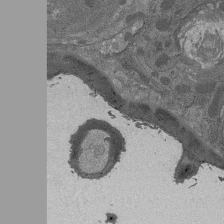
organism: Drosophila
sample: Antenna